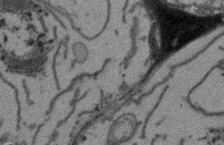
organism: Arabidopsis thaliana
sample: Root tip